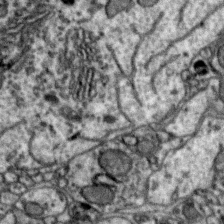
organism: Zebra finch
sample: Brain